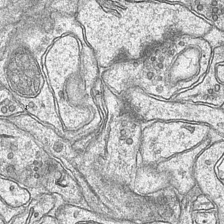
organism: Mouse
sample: CA1 Hippocampus